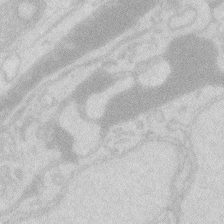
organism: Zebrafish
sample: Macrophage